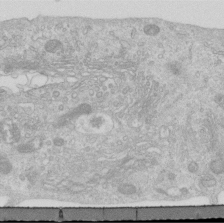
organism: Human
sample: Centriole in RPE cells